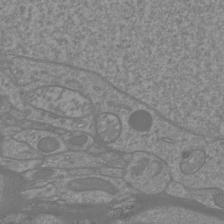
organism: Mouse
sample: Cortical neurons